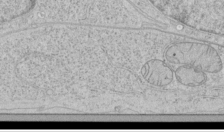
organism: Human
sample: Mitochondria in HCT116 cells